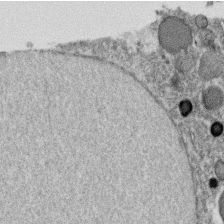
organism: C. elegans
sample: C. elegans oocyte; sperm cells